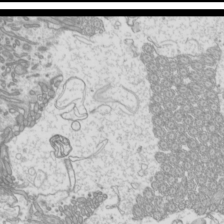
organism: Mouse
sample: Cilia; mouse epididymis